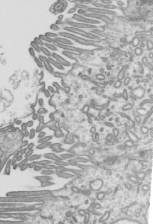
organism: Mouse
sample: Mouse epididymis efferent ductule cilia